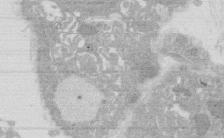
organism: Rat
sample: Salivary granule